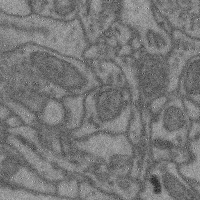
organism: Mouse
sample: Cerebral cortex